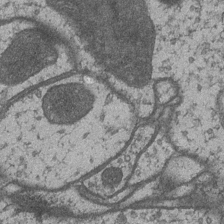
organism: Drosophila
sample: Optic medulla